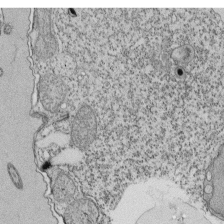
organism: Tetrahymena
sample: Cilia in tetrahymena